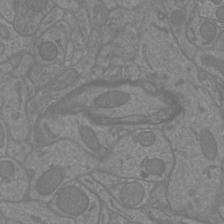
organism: Mouse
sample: Cortical neurons